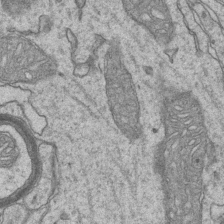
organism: Mouse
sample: CA1 Hippocampus